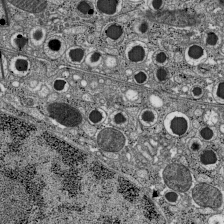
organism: C57BL Mouse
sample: Pancreatic islet